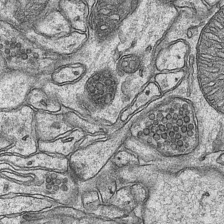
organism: Mouse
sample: CA1 Hippocampus